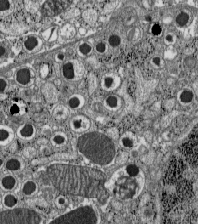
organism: C57BL Mouse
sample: Pancreatic islet